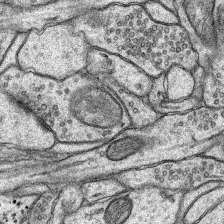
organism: Rat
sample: Hippocampus